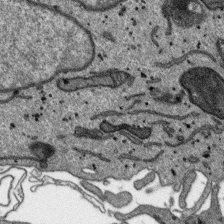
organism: Human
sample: Lung epithelial cells, uninfected (mock) control